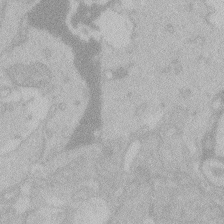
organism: Zebrafish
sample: Macrophage infected with Toxoplasma gondii